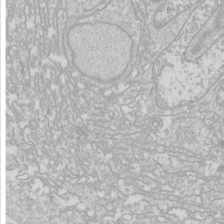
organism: Drosophila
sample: Cell division; meiosis; drosophila spermatocytes